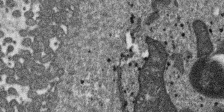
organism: Human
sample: Lung epithelial cells infected with SARS-CoV-2